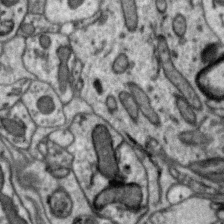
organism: Zebra finch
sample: Brain